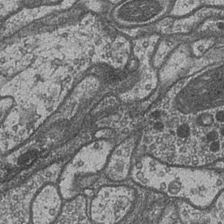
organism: Drosophila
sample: Optic medulla